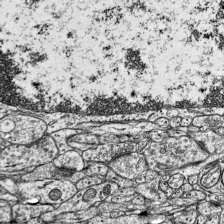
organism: Mouse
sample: Visual Cortex